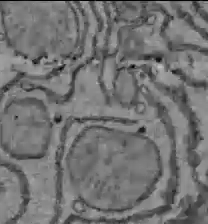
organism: C57BL Mouse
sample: Liver